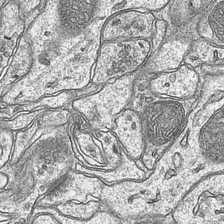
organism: Mouse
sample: CA1 Hippocampus